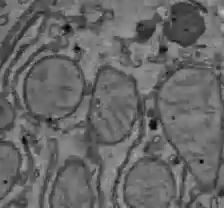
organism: C57BL Mouse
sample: Liver